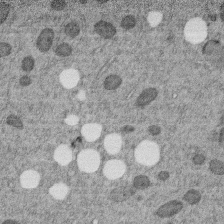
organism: C. elegans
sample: C. elegans embryo early stage